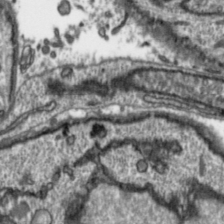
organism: Toxoplasma gondii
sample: Parasites in a vacuole inside a host cell